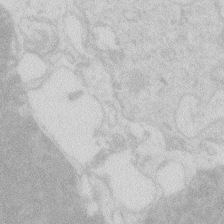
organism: Zebrafish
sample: Macrophage